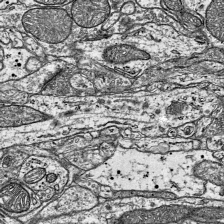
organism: Mouse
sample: Visual Cortex